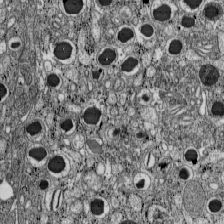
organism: C57BL Mouse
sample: Pancreatic islet